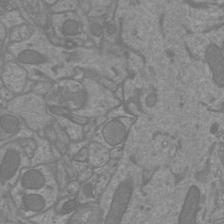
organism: Mouse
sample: Cortical neurons